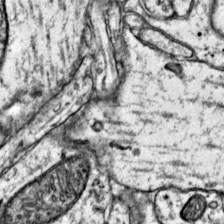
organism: Mouse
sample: Primary visual cortex